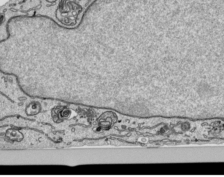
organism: Human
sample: Mitochondria in HCT116 cells